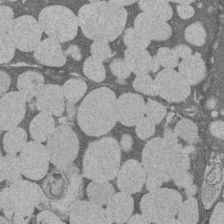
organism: Rat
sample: Salivary granule